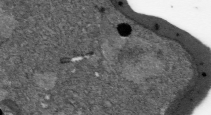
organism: Plasmodium falciparum